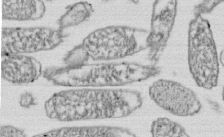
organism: E. coli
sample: Bacterial nucleoid